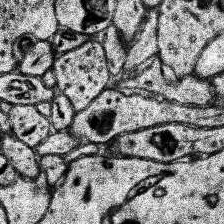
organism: Human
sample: Temporal Lobe